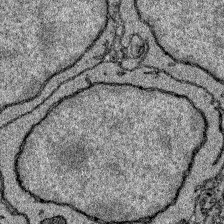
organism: Zebrafish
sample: Larval olfactory bulb